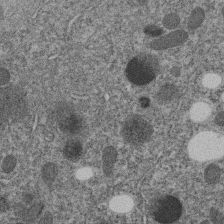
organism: C. elegans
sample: C. elegans embryo early stage